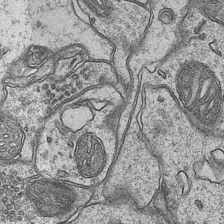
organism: Mouse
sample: CA1 Hippocampus